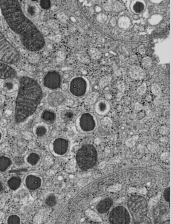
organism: C57BL Mouse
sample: Pancreatic islet